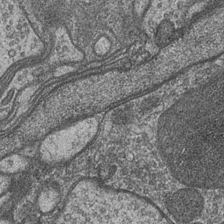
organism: Drosophila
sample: Optic medulla